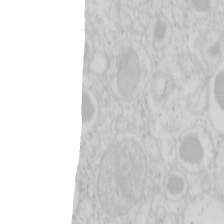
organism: Mouse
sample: Pancreas